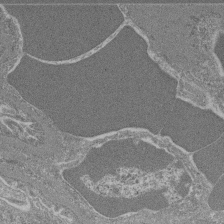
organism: Mouse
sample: Glomerulus